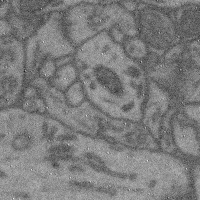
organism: Mouse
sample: Cerebral cortex